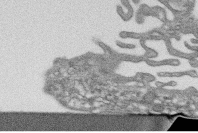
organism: Human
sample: CRL-1474